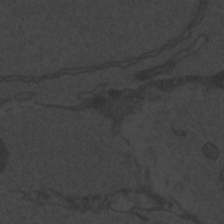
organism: Zebrafish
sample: Macrophage infected with Toxoplasma gondii